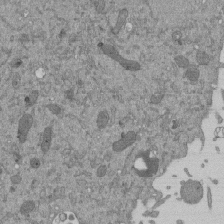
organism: Mouse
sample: ED-1 cell nuclei; centrioles